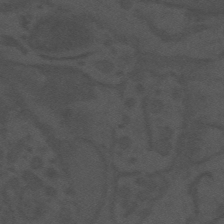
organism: Mouse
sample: Suprachiasmatic nucleus